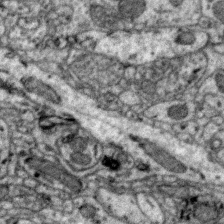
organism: Zebra finch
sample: Brain